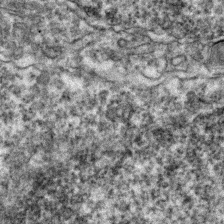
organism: Zebrafish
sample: Zebrafish embryo